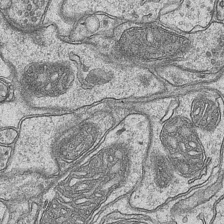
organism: Mouse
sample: CA1 Hippocampus